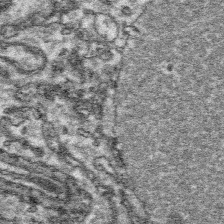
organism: Platynereis dumerilii